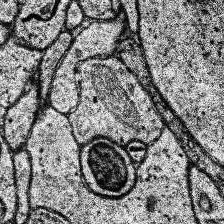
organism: Human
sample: Temporal Lobe